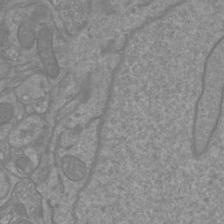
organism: Mouse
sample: Cortical neurons